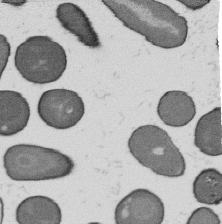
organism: B. subtilis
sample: Bacterial spore